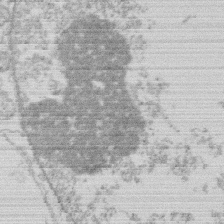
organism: Human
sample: Macrophage cells